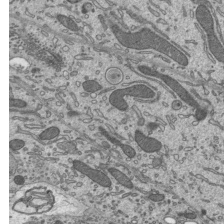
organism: Mouse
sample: Mouse epididymis efferent ductule cilia